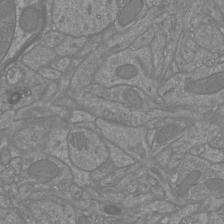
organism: Mouse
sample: Cortical neurons